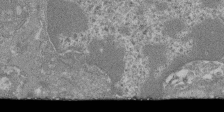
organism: Mouse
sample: Glomerulus